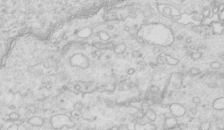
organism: Mouse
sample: Multiciliated cells